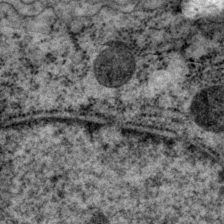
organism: P. pacificus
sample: Pharynx